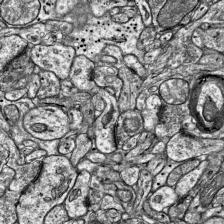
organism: Mouse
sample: Visual Cortex